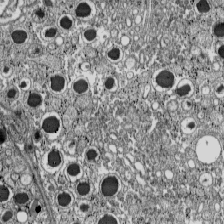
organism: C57BL Mouse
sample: Pancreatic islet